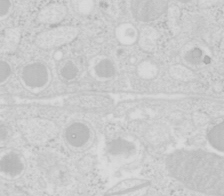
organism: Mouse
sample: Pancreas